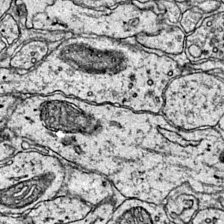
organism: Mouse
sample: Primary visual cortex